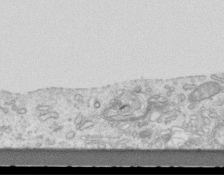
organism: Mouse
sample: Centriole in ependymal cells